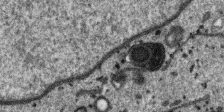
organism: Human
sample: Lung epithelial cells infected with SARS-CoV-2